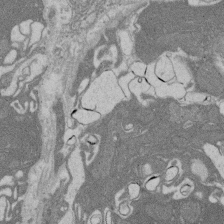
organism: Rat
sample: Salivary granule